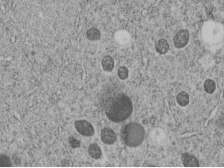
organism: C. elegans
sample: C. elegans embryo early stage